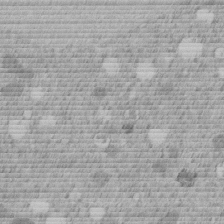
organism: C. elegans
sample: C. elegans embryo early stage